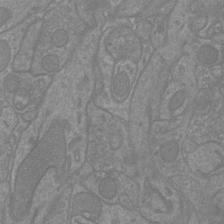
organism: Mouse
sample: Cortical neurons